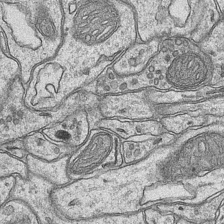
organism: Mouse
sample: CA1 Hippocampus